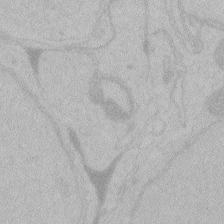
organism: Zebrafish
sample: Macrophage infected with Toxoplasma gondii